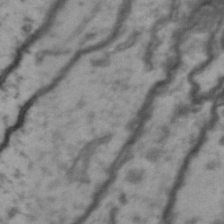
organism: Drosophila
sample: Brain